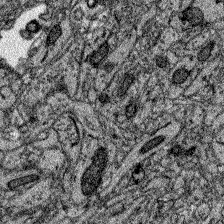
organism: Zebrafish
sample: Larval olfactory bulb